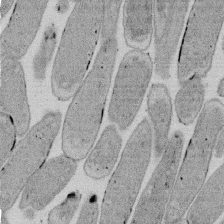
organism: E. coli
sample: Bacterial nucleoid